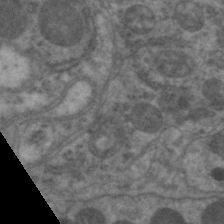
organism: C. elegans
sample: Pharynx